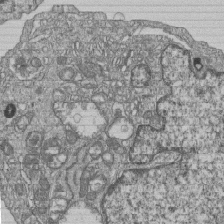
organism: Human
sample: MDA-MB-231 cells